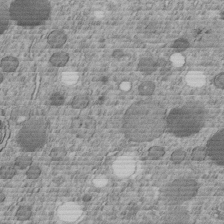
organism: C. elegans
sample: C. elegans embryo early stage